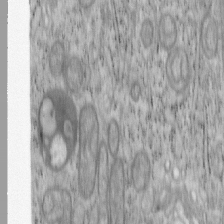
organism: Human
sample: HeLa cells